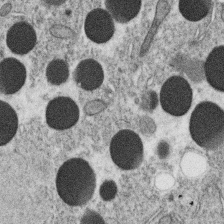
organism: C. elegans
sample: C. elegans oocyte; sperm cells